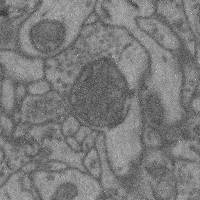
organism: Mouse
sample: Cerebral cortex